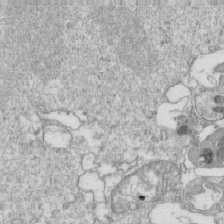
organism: Mouse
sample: Activated OT-1 CD8+ T cells